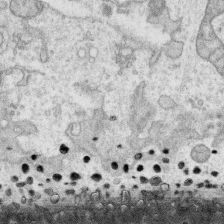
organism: Human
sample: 1205lu cells